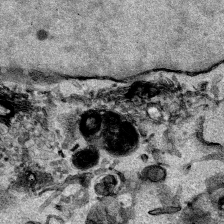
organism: Mouse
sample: Cancer cell death in ED-1 cells